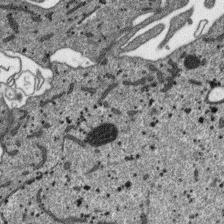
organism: Human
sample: Lung epithelial cells infected with SARS-CoV-2